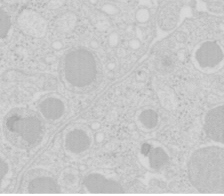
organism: Mouse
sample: Pancreas